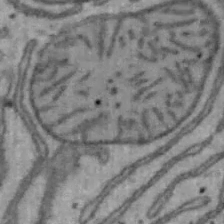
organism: Mouse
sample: Liver